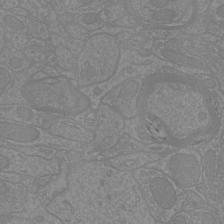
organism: Mouse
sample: Cortical neurons